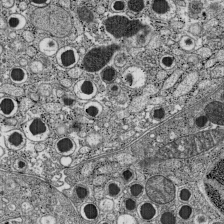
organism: C57BL Mouse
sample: Pancreatic islet